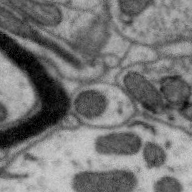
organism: Zebra finch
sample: Brain